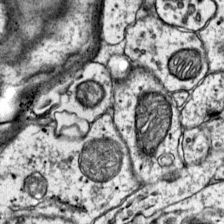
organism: Mouse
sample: Primary visual cortex